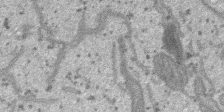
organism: Human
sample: Lung epithelial cells infected with SARS-CoV-2